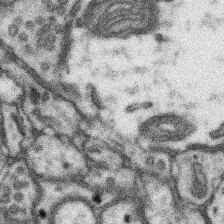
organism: Mouse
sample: Somatosensory cortex neuropil